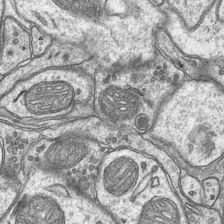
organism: Mouse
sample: CA1 Hippocampus